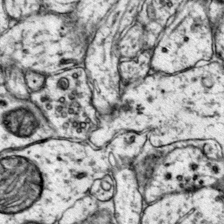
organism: Mouse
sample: Primary visual cortex